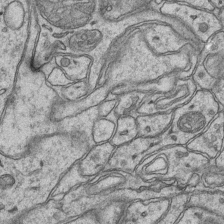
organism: Mouse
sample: CA1 Hippocampus